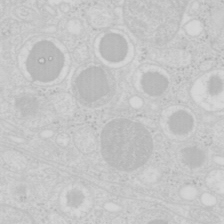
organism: Mouse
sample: Pancreas